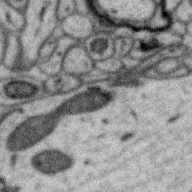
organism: Zebra finch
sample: Brain